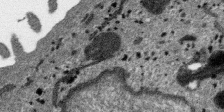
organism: Human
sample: Lung epithelial cells, uninfected (mock) control